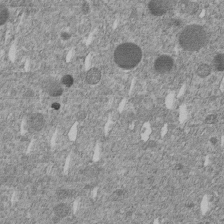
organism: C. elegans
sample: C. elegans embryo early stage